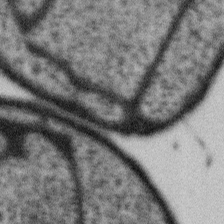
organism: Gemmata obscuriglobus